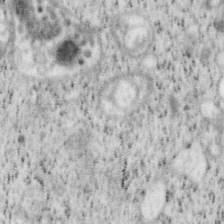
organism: Mouse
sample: OT-I killer T cells with ID8 ovarian cancer cells